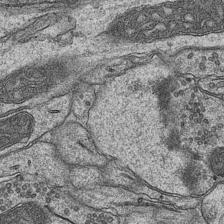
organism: Mouse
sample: CA1 Hippocampus